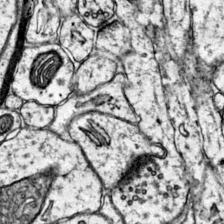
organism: Mouse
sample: Primary visual cortex